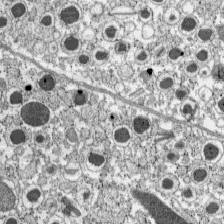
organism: C57BL Mouse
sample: Pancreatic islet